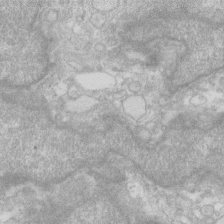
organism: Human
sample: Fibroblast cells